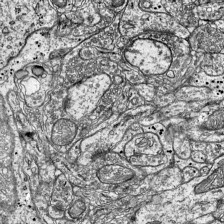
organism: Mouse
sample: Visual Cortex